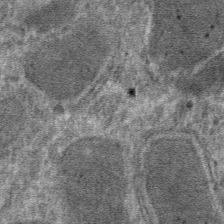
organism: Mouse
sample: Mouse hepatocytes